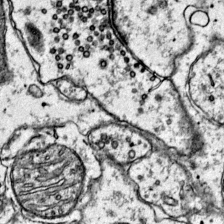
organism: Mouse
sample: Primary visual cortex